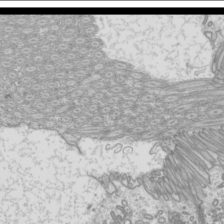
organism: Mouse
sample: Cilia; mouse epididymis